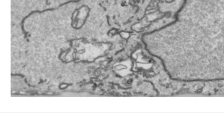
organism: Human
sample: Mitochondria in HCT116 cells